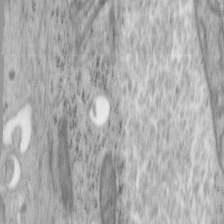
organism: Human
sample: HeLa cells